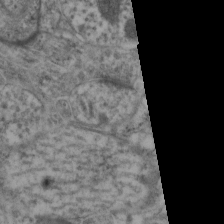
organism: Mouse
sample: Neocortex